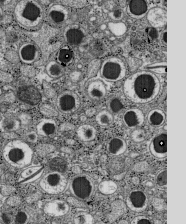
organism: C57BL Mouse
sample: Pancreatic islet